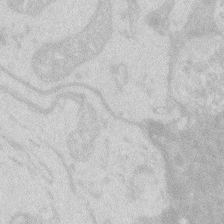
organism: Zebrafish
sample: Macrophage